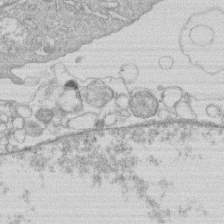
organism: Human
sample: Macrophage cells